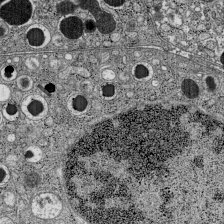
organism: C57BL Mouse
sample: Pancreatic islet